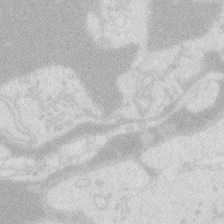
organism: Zebrafish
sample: Macrophage